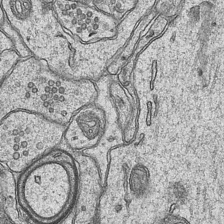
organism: Mouse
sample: CA1 Hippocampus